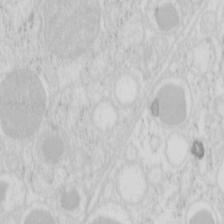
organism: Mouse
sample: Pancreas